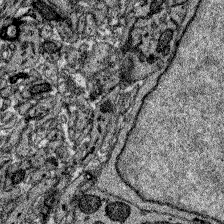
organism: Zebrafish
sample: Larval olfactory bulb